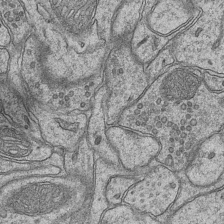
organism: Mouse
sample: CA1 Hippocampus